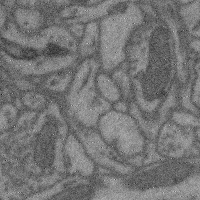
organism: Mouse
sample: Cerebral cortex